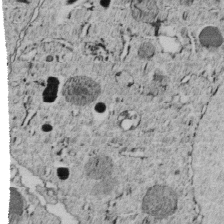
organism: C. elegans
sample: C. elegans embryo early stage